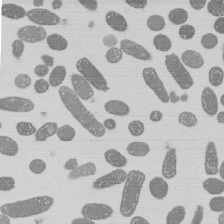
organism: E. coli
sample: Bacterial nucleoid